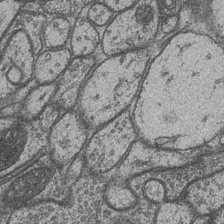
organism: Drosophila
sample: Optic medulla